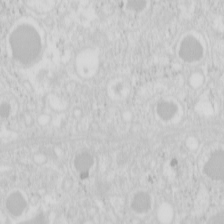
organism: Mouse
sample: Pancreas